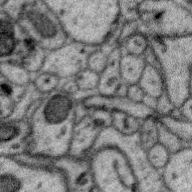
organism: Zebra finch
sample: Brain